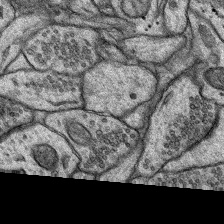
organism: Rat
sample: Hippocampus